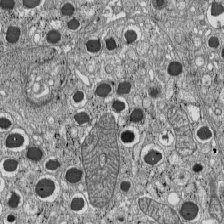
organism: C57BL Mouse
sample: Pancreatic islet